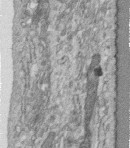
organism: Human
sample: Centriole in fibroblast cells